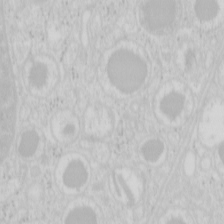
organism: Mouse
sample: Pancreas